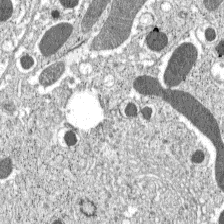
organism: C57BL Mouse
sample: Pancreatic islet